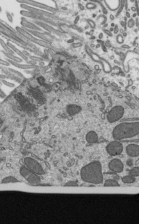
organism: Mouse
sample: Mouse epididymis efferent ductule cilia